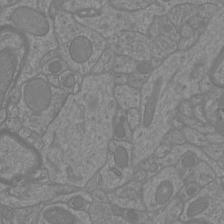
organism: Mouse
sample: Cortical neurons